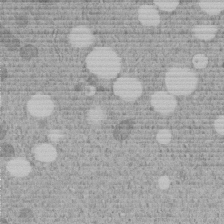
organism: C. elegans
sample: C. elegans embryo early stage